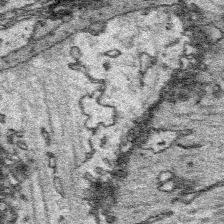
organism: Platynereis dumerilii